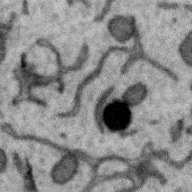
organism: Zebra finch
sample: Brain